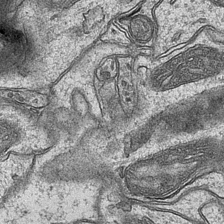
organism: Mouse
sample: CA1 Hippocampus